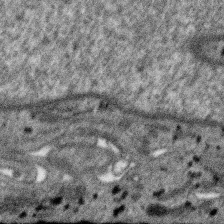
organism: Human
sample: Lung epithelial cells infected with SARS-CoV-2